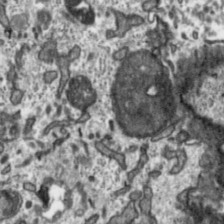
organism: Toxoplasma gondii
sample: Parasites in a vacuole inside a host cell